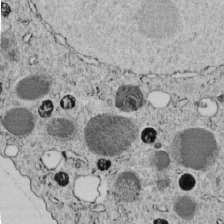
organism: C. elegans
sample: C. elegans embryo early stage